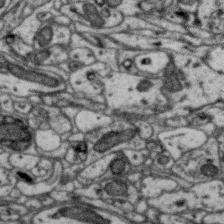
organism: Zebra finch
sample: Brain